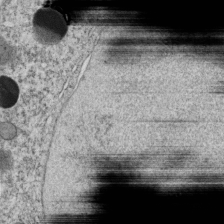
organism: C. elegans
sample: C. elegans embryo early stage